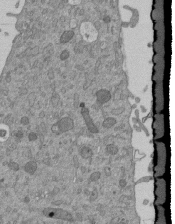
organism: Mouse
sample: ED-1 cell nuclei; centrioles